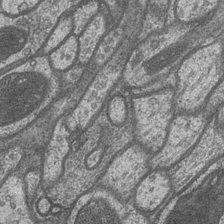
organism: Drosophila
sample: Optic medulla